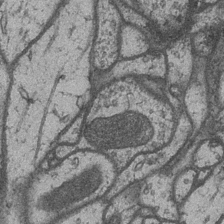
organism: Drosophila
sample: Optic medulla